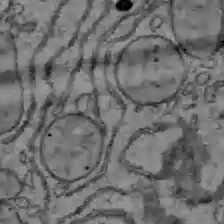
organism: C57BL Mouse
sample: Liver